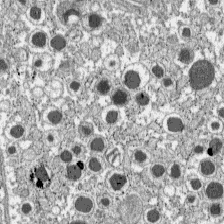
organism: C57BL Mouse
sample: Pancreatic islet